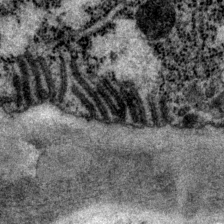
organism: P. pacificus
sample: Pharynx